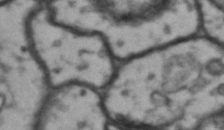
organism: Drosophila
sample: Brain